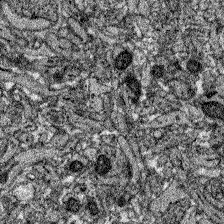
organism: Zebrafish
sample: Larval olfactory bulb